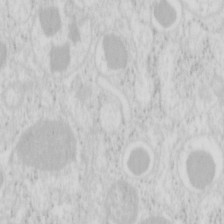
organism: Mouse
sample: Pancreas